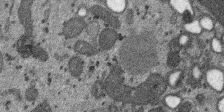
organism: Human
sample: Lung epithelial cells infected with SARS-CoV-2